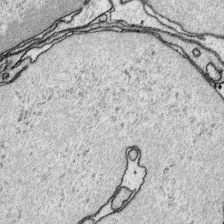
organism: Platynereis dumerilii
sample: Parapodia